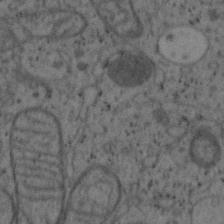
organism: Human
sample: HeLa cells